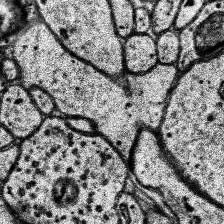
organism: Human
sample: Temporal Lobe